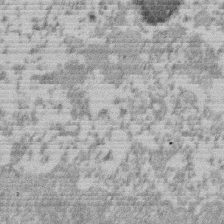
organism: Mouse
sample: Dividing mouse embryo 1 cell stage